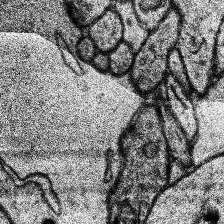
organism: Human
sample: Temporal Lobe